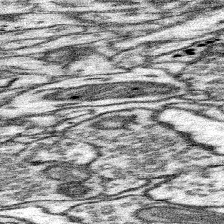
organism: Mouse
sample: Somatosensory cortex neuropil